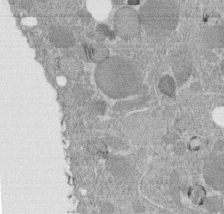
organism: C. elegans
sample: C. elegans embryo early stage